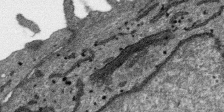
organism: Human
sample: Lung epithelial cells, uninfected (mock) control